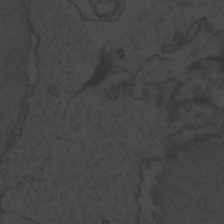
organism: Zebrafish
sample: Macrophage infected with Toxoplasma gondii